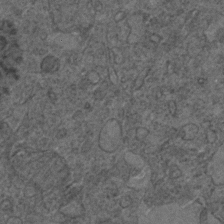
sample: Trachea